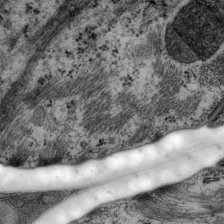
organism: P. pacificus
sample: Pharynx